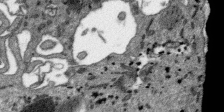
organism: Human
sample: Lung epithelial cells, uninfected (mock) control